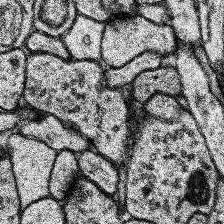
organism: Human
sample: Temporal Lobe